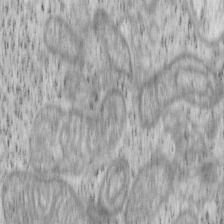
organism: Human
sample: HeLa cells